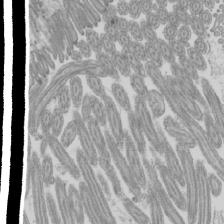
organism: Mouse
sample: Cilia; mouse epididymis